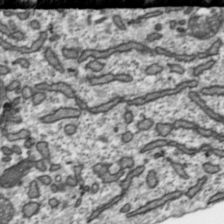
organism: Toxoplasma gondii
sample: Parasites in a vacuole inside a host cell